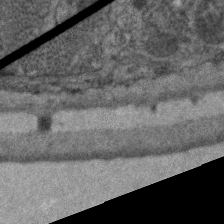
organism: C. elegans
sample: Pharynx